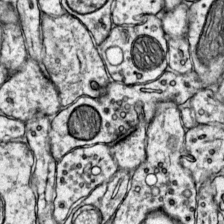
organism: Mouse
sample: Primary visual cortex